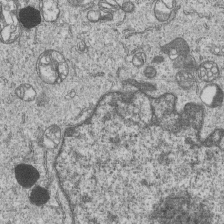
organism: Human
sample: MDA-MB-231 cells